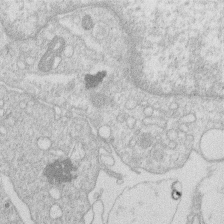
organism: Human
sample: Macrophage cells